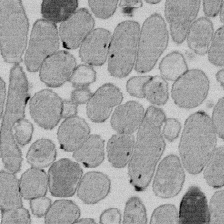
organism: E. coli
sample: Bacterial nucleoid